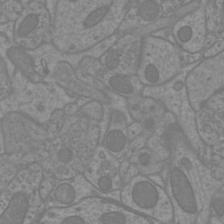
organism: Mouse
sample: Cortical neurons